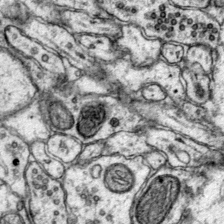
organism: Mouse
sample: Primary visual cortex